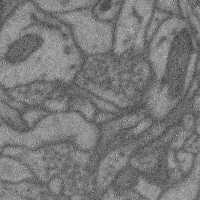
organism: Mouse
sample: Cerebral cortex